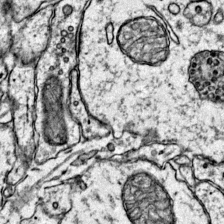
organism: Mouse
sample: Primary visual cortex